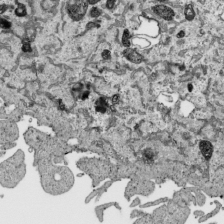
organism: Human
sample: Mitochondria in HCT116 cells